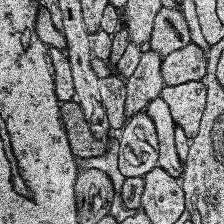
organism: Human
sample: Temporal Lobe